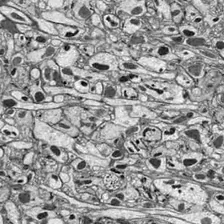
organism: Drosophila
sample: Optic lobe